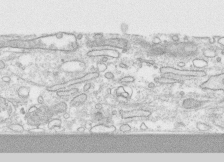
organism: Human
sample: CRL-1474